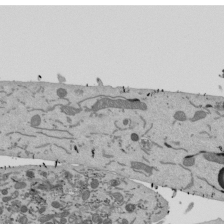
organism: Mouse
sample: ED-1 cell nuclei; centrioles